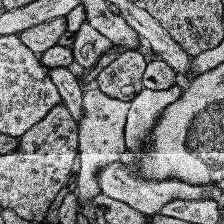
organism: Human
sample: Temporal Lobe